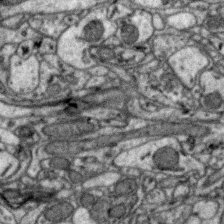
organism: Zebra finch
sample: Brain